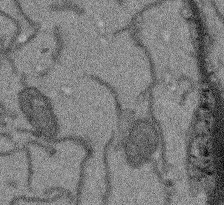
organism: Arabidopsis thaliana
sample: Root tip